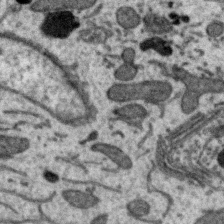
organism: Zebra finch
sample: Brain